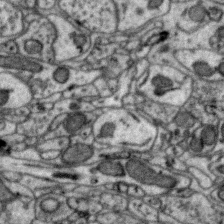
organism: Zebra finch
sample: Brain